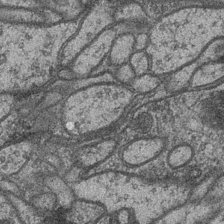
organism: Drosophila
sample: Optic medulla